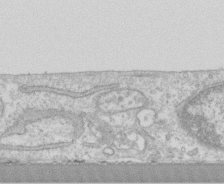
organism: Human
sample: CRL-1474